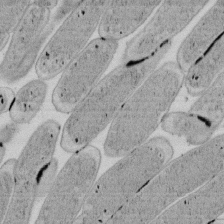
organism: E. coli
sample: Bacterial nucleoid